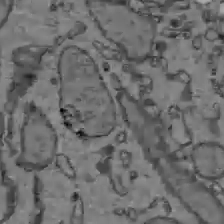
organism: C57BL Mouse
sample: Liver